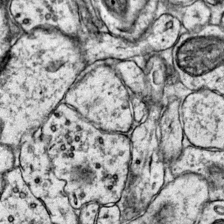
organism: Mouse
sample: Primary visual cortex